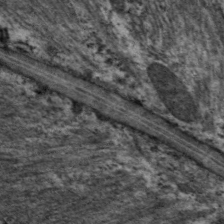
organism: C. elegans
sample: Pharynx